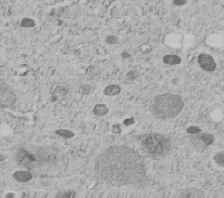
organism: C. elegans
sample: C. elegans embryo early stage